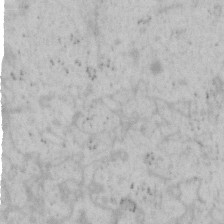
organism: Human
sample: HeLa cells